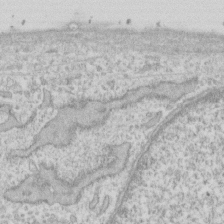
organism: Human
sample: Fibroblast cells